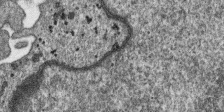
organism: Human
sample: Lung epithelial cells infected with SARS-CoV-2